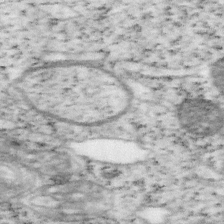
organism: Mouse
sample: OT-I killer T cells with ID8 ovarian cancer cells